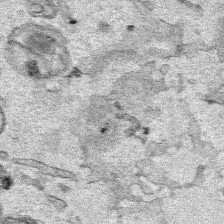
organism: Human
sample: Mitochondria in HCT116 cells